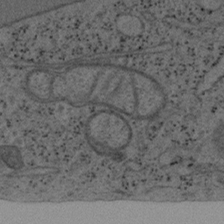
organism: Human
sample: HeLa cells